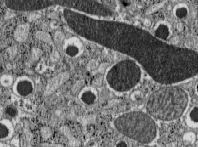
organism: C57BL Mouse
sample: Pancreatic islet